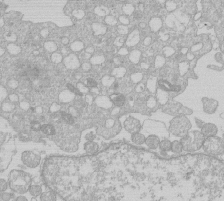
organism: Human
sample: Macrophage cells